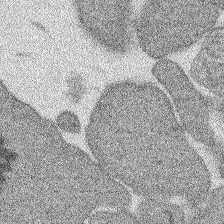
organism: Human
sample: HeLa cells